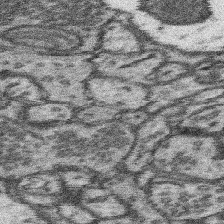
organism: Mouse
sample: Somatosensory cortex neuropil